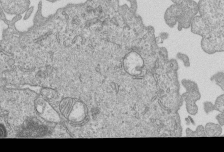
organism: Human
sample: MDA-MB-231 cells